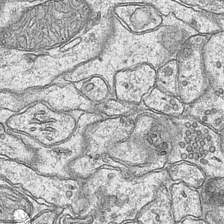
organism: Mouse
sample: CA1 Hippocampus